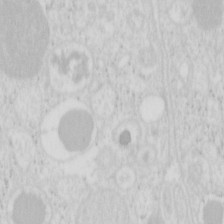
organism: Mouse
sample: Pancreas